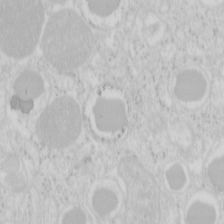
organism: Mouse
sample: Pancreas